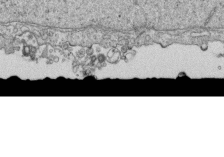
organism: Human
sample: HeLa cell HIV synapse